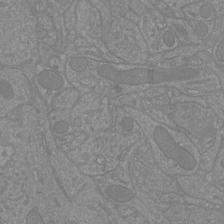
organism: Mouse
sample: Cortical neurons